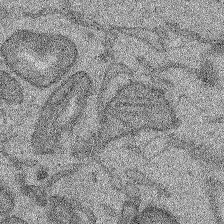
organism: Human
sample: HeLa cells